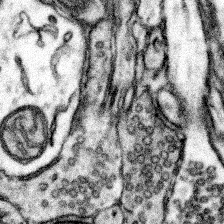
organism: Mouse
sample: Somatosensory cortex neuropil